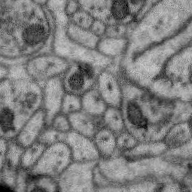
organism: Zebra finch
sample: Brain